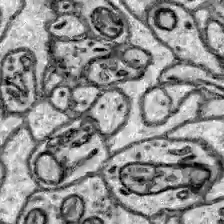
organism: Zebrafish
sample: Brain